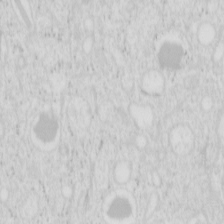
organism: Mouse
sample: Pancreas